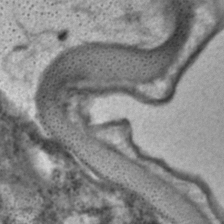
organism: C. elegans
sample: C. elegans embryo